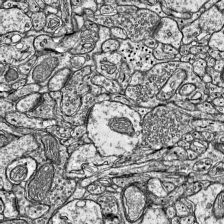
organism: Mouse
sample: Visual Cortex